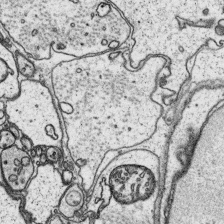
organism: Platynereis dumerilii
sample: Parapodia